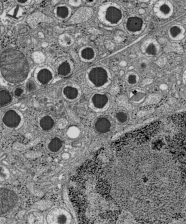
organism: C57BL Mouse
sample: Pancreatic islet